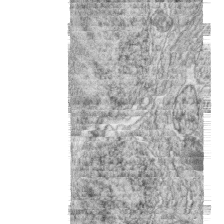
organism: Zebrafish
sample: synaptic ribbons in rod cells and cone cells